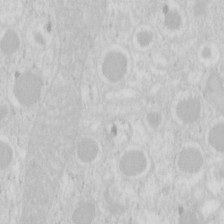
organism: Mouse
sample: Pancreas